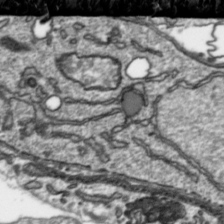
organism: Toxoplasma gondii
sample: Parasites in a vacuole inside a host cell